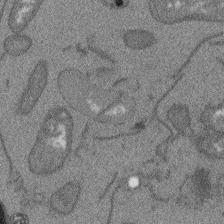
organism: Arabidopsis thaliana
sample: Root tip